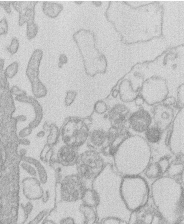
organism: Human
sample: Macrophage cells